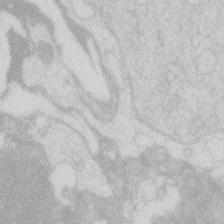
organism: Zebrafish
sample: Macrophage